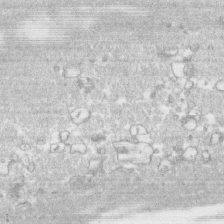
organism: Human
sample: CRL-1474